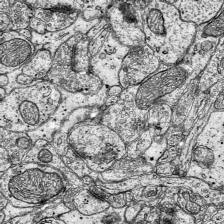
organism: Mouse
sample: Visual Cortex